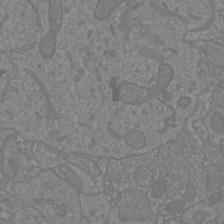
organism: Mouse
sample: Cortical neurons